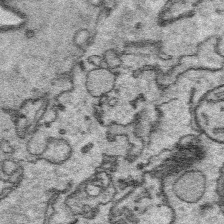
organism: Platynereis dumerilii